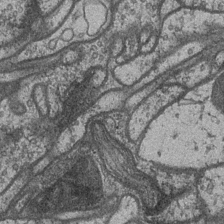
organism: Drosophila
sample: Optic medulla